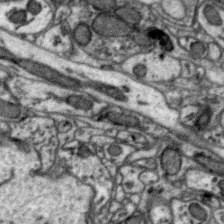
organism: Zebra finch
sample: Brain